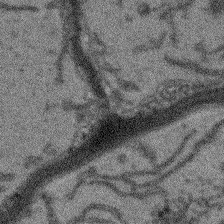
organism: Arabidopsis thaliana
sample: Root tip